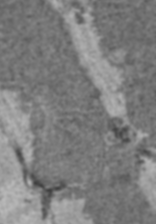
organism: C57BL Mouse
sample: Heart